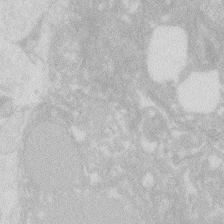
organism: Zebrafish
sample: Macrophage